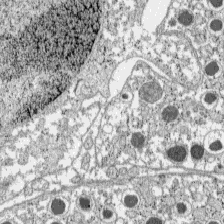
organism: C57BL Mouse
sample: Pancreatic islet